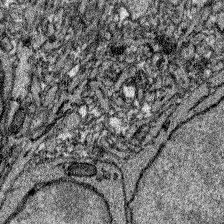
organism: Zebrafish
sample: Larval olfactory bulb